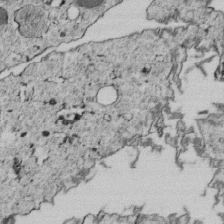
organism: C. elegans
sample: C. elegans embryo early stage